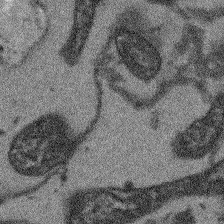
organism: Arabidopsis thaliana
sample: Root tip